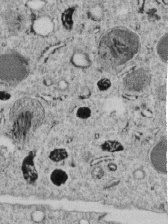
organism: C. elegans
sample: C. elegans embryo early stage